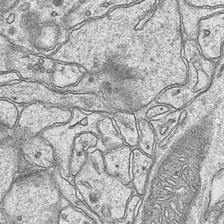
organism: Mouse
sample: CA1 Hippocampus